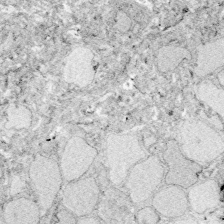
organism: Zebrafish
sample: Whole-Brain